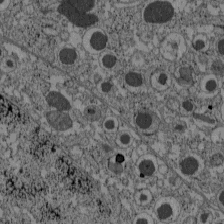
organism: C57BL Mouse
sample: Pancreatic islet